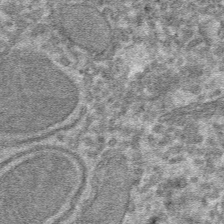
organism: Mouse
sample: Mouse hepatocytes